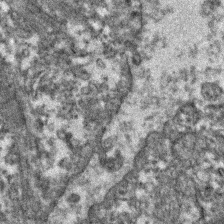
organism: Zebrafish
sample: Zebrafish embryo